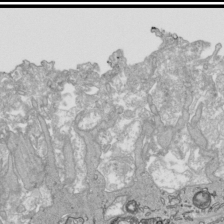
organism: Human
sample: Mitochondria in HCT116 cells